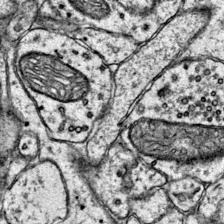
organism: Mouse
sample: Primary visual cortex